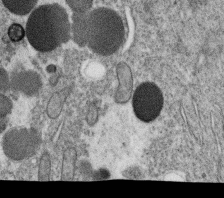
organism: C. elegans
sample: C. elegans oocyte; sperm cells